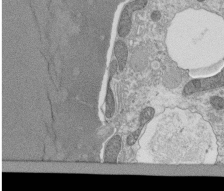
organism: Tetrahymena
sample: Cilia in tetrahymena